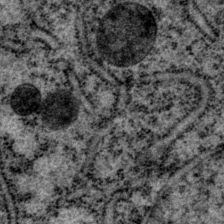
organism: P. pacificus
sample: Pharynx